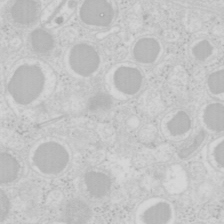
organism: Mouse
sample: Pancreas